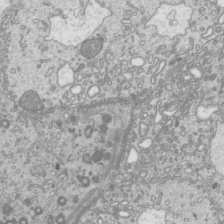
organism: Mouse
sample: Cilia; mouse epididymis